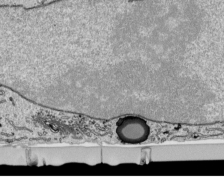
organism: Human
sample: Mitochondria in HCT116 cells